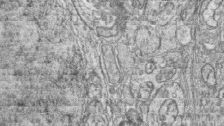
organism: Zebrafish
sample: synaptic ribbons in rod cells and cone cells